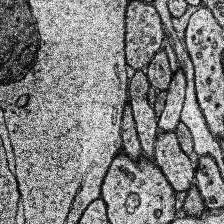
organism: Human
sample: Temporal Lobe